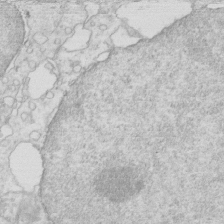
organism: Mouse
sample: Multiciliated cells